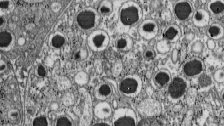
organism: C57BL Mouse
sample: Pancreatic islet